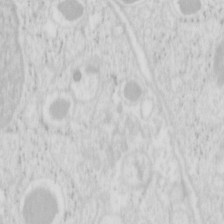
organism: Mouse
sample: Pancreas